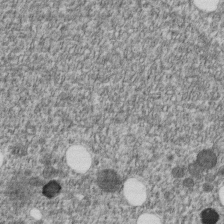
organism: C. elegans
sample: C. elegans embryo early stage